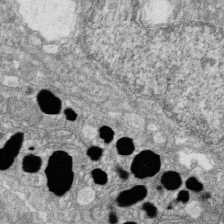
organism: Zebrafish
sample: Cilia; retinal pigment epithelium